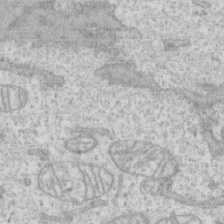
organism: Human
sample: CRL-1474